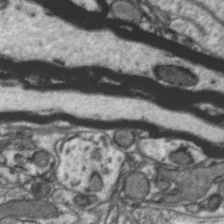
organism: Zebra finch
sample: Brain